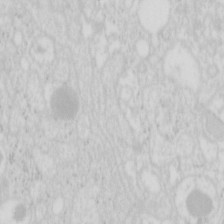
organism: Mouse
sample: Pancreas